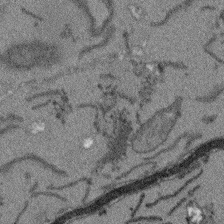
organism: Arabidopsis thaliana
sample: Root tip